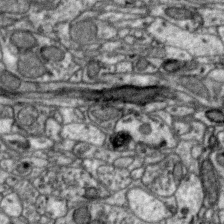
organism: Zebra finch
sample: Brain